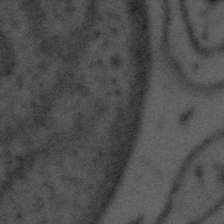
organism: Tuwongella immobilis